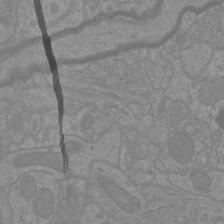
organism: Mouse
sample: Cortical neurons